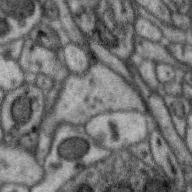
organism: Zebra finch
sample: Brain